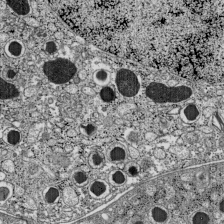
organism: C57BL Mouse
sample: Pancreatic islet